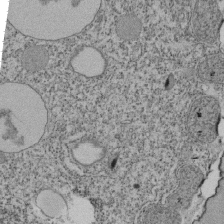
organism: Tetrahymena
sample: Cilia in tetrahymena